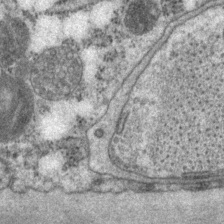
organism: P. pacificus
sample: Pharynx